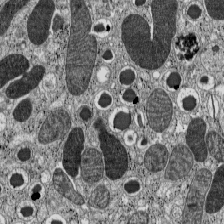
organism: C57BL Mouse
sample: Pancreatic islet